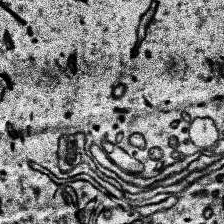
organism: Human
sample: Temporal Lobe